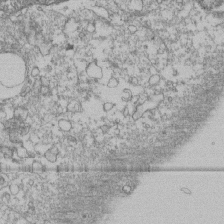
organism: Human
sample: Fibroblast cells